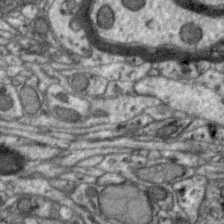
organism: Zebra finch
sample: Brain